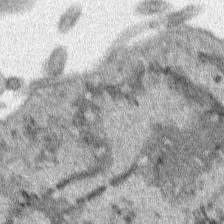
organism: Human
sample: Mitochondria in HCT116 cells